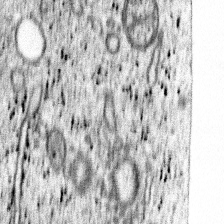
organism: Human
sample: HeLa cells